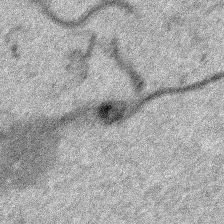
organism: Human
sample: Mitochondria in HCT116 cells